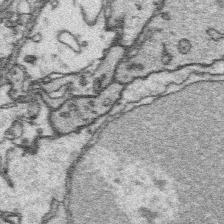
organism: Platynereis dumerilii